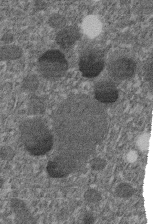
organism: C. elegans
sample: C. elegans embryo early stage